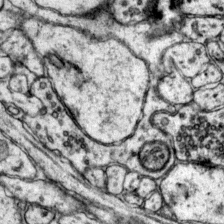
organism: Mouse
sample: Primary visual cortex